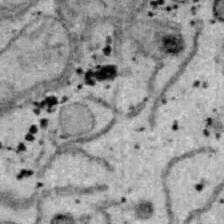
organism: Mouse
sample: Liver from an obese (ob/ob) mouse